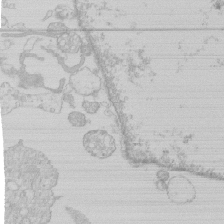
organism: Human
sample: Macrophage cells